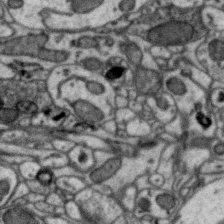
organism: Zebra finch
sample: Brain